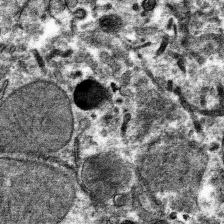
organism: Mouse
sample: Mouse hepatocytes